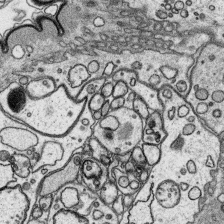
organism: Platynereis dumerilii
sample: Parapodia